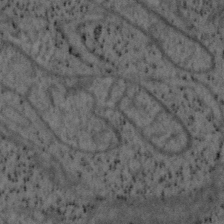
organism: Human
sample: HeLa cells